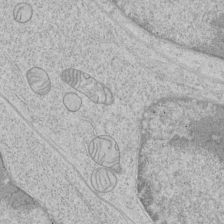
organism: Human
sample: Mitochondria in HCT116 cells